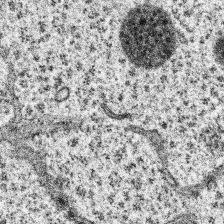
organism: Human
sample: HeLa cells